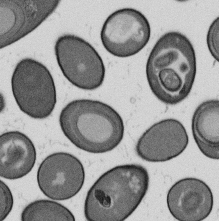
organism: B. subtilis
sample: Bacterial spore